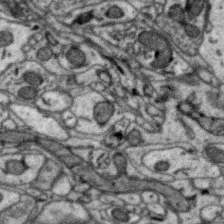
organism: Zebra finch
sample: Brain